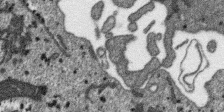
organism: Human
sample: Lung epithelial cells infected with SARS-CoV-2